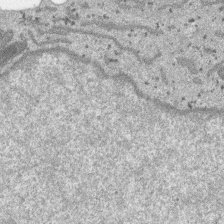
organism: Human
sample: Lung epithelial cells infected with SARS-CoV-2